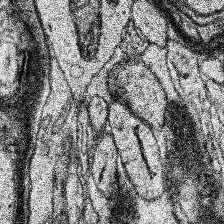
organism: Human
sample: Temporal Lobe